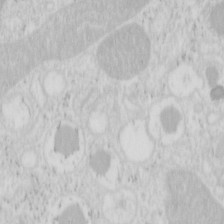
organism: Mouse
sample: Pancreas